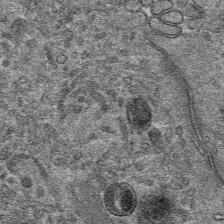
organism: Mouse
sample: Mouse hepatocytes